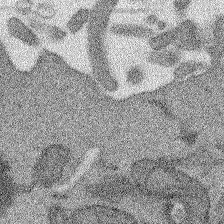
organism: Human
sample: HeLa cells